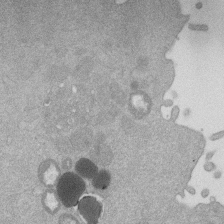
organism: Mouse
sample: Dividing mouse embryo 1 cell stage